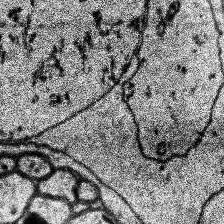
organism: Human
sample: Temporal Lobe